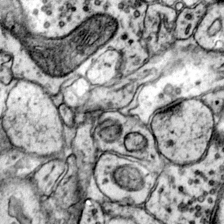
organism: Mouse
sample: Primary visual cortex